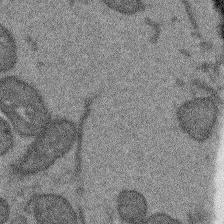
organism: Arabidopsis thaliana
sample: Root tip